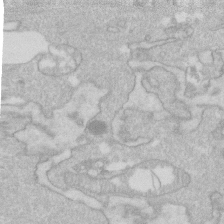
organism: Human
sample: Fibroblast cells